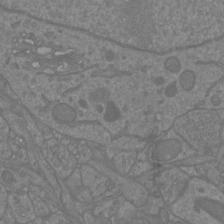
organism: Mouse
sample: Cortical neurons